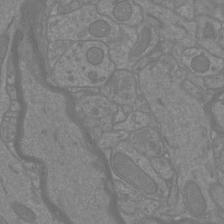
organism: Mouse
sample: Cortical neurons